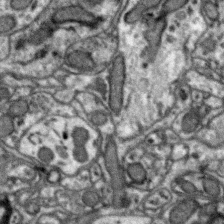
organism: Zebra finch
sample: Brain